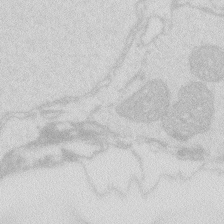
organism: Zebrafish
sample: Macrophage